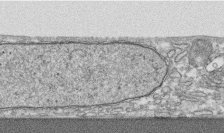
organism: Human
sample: CRL-1474